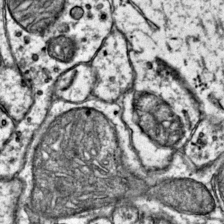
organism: Mouse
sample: Primary visual cortex